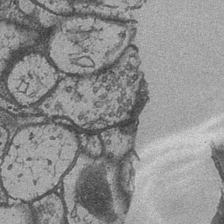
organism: Drosophila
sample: Optic medulla